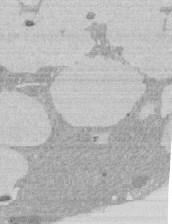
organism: Rat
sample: Salivary granule